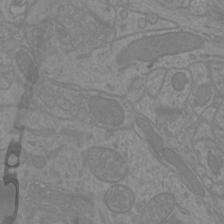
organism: Mouse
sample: Cortical neurons